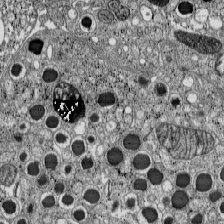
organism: C57BL Mouse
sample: Pancreatic islet